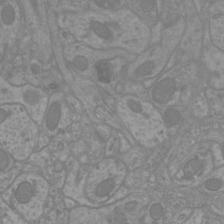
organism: Mouse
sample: Cortical neurons